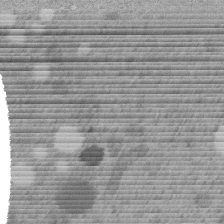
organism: C. elegans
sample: C. elegans embryo early stage